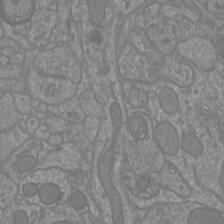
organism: Mouse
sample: Cortical neurons